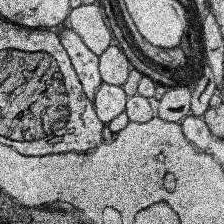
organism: Human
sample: Temporal Lobe